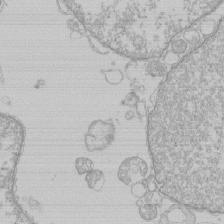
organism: Human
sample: Macrophage cells